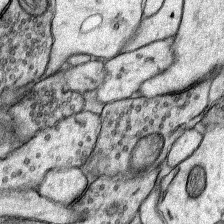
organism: Rat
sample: Hippocampus